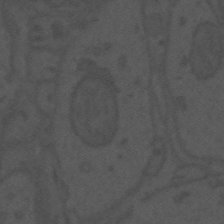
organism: Mouse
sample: Suprachiasmatic nucleus